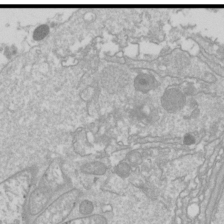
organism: Drosophila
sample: Cell division; meiosis; drosophila spermatocytes